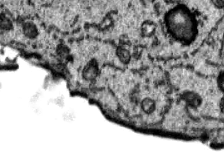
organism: Human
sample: HeLa cells